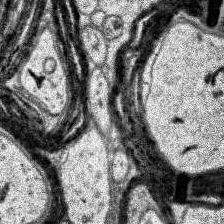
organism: Human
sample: Temporal Lobe